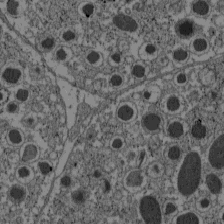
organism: C57BL Mouse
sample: Pancreatic islet